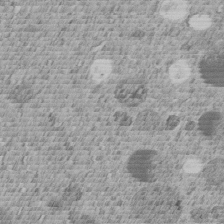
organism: C. elegans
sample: C. elegans embryo early stage